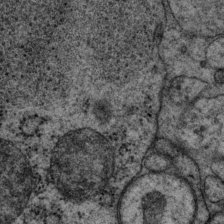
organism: P. pacificus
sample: Pharynx